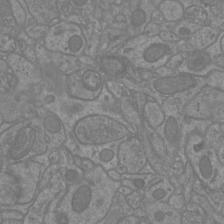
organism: Mouse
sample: Cortical neurons